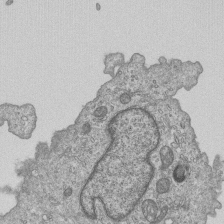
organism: Human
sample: MDA-MB-231 cells